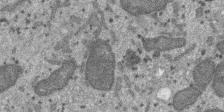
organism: Human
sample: Lung epithelial cells infected with SARS-CoV-2